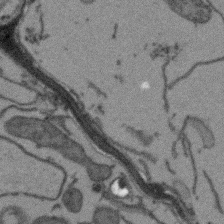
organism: Arabidopsis thaliana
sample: Root tip